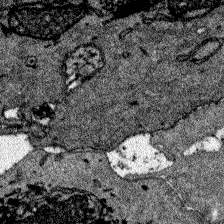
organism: Zebrafish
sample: Larval olfactory bulb